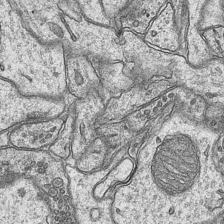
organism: Mouse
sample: CA1 Hippocampus